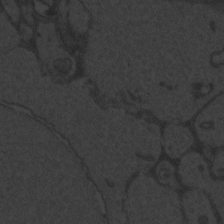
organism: Zebrafish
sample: Macrophage infected with Toxoplasma gondii